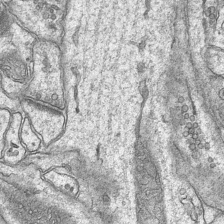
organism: Mouse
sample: CA1 Hippocampus